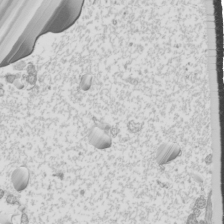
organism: Mouse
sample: Cilia; mouse epididymis